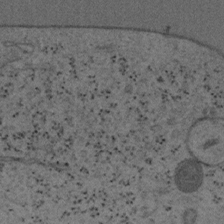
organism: Human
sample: HeLa cells